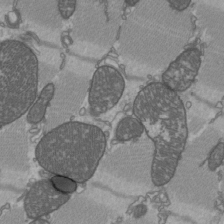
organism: C57BL Mouse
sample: Heart